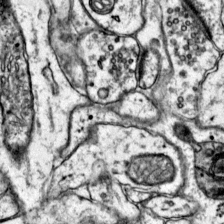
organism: Mouse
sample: Primary visual cortex